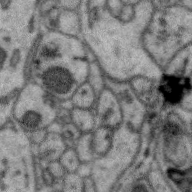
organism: Zebra finch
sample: Brain